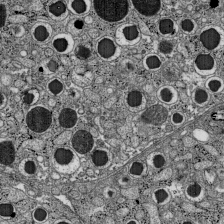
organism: C57BL Mouse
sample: Pancreatic islet